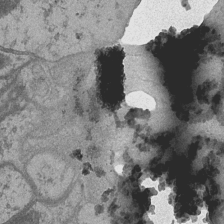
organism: Drosophila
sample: Optic medulla